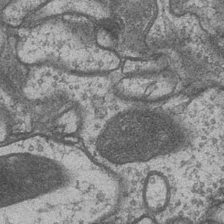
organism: Drosophila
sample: Optic medulla